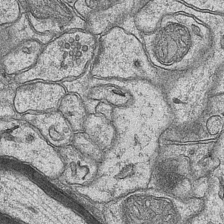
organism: Mouse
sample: CA1 Hippocampus